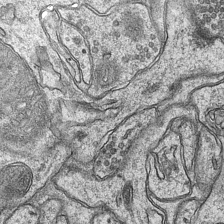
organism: Mouse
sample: CA1 Hippocampus